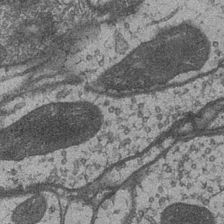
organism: Drosophila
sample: Optic medulla